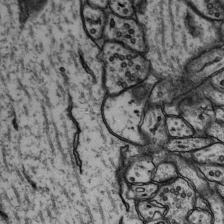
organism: Rat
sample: Hippocampus